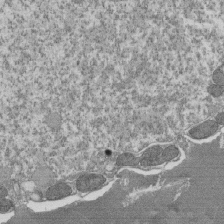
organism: Tetrahymena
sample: Cilia in tetrahymena